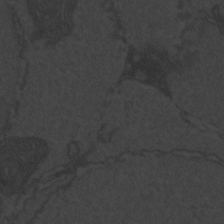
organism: Zebrafish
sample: Macrophage infected with Toxoplasma gondii